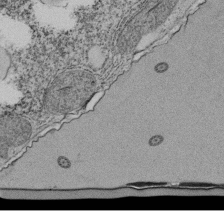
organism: Tetrahymena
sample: Cilia in tetrahymena